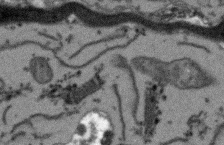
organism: Arabidopsis thaliana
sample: Root tip